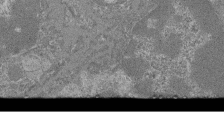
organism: Mouse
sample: Glomerulus